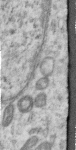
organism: Human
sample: Centriole in RPE cells